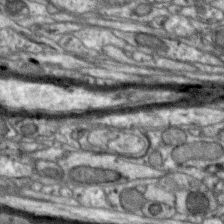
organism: Zebra finch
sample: Brain